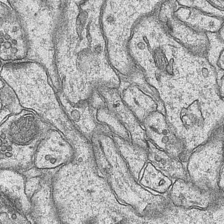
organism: Mouse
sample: CA1 Hippocampus